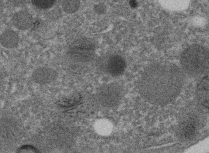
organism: C. elegans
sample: C. elegans embryo early stage